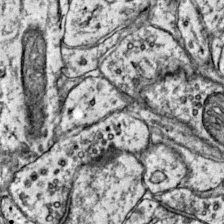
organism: Mouse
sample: Primary visual cortex